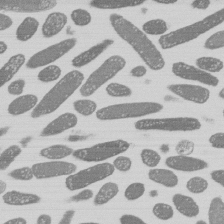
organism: E. coli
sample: Bacterial nucleoid